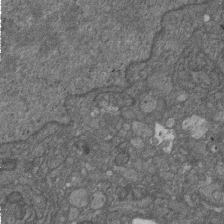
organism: Drosophila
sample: Nephrocyte